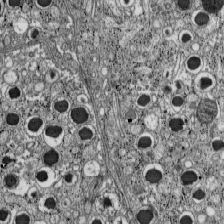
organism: C57BL Mouse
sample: Pancreatic islet